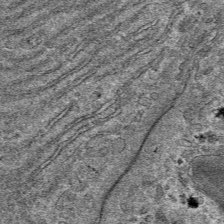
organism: Mouse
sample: Mouse hepatocytes